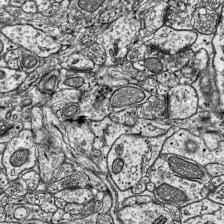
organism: Mouse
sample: Visual Cortex